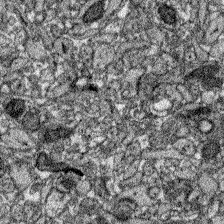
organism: Zebrafish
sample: Larval olfactory bulb